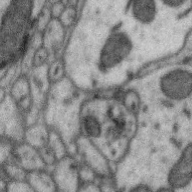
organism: Zebra finch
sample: Brain